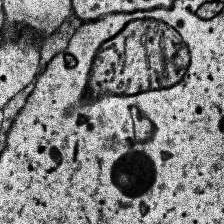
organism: Human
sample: Temporal Lobe